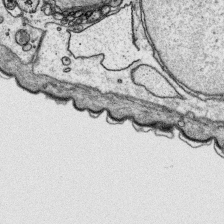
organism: Platynereis dumerilii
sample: Parapodia